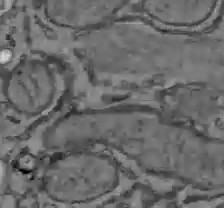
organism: C57BL Mouse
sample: Liver